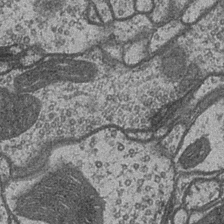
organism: Drosophila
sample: Optic medulla